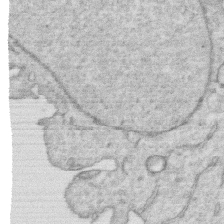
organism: Human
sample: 1205lu cells